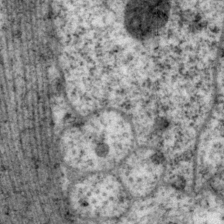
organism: P. pacificus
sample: Pharynx